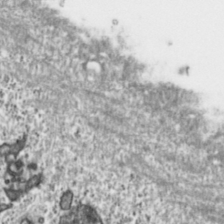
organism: Toxoplasma gondii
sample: Parasites in a vacuole inside a host cell